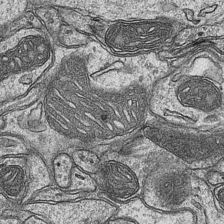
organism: Mouse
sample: CA1 Hippocampus